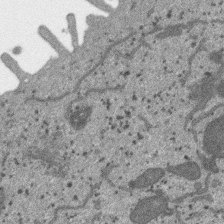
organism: Human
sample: Lung epithelial cells infected with SARS-CoV-2